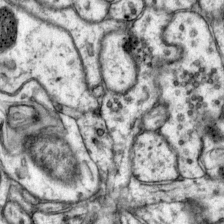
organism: Mouse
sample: Primary visual cortex